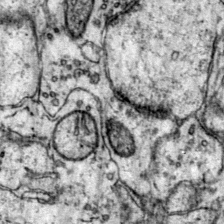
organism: Mouse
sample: Primary visual cortex